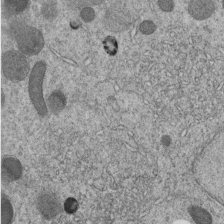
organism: C. elegans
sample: C. elegans embryo early stage